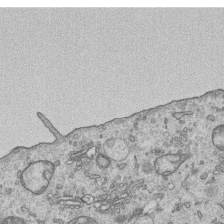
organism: Human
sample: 1205lu cells